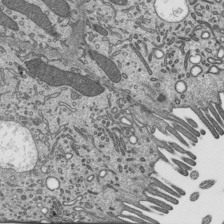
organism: Mouse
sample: Mouse epididymis efferent ductule cilia